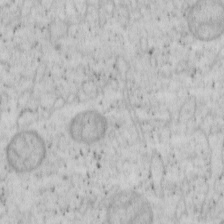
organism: Human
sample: HeLa cells